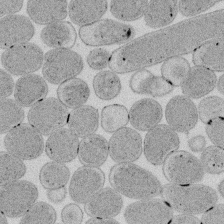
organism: E. coli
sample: Bacterial nucleoid